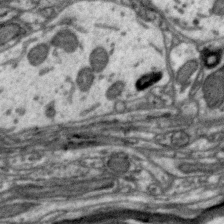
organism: Zebra finch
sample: Brain